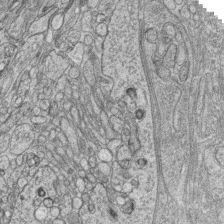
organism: Zebrafish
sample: synaptic ribbons in rod cells and cone cells